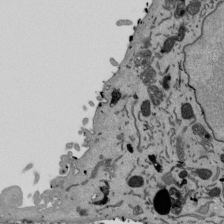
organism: Mouse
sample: ED-1 cell nuclei; centrioles